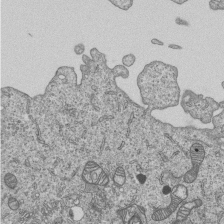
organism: Human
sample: MDA-MB-231 cells